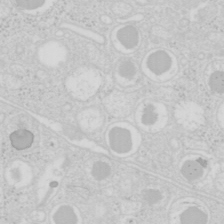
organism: Mouse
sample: Pancreas